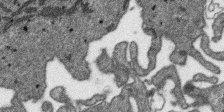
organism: Human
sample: Lung epithelial cells infected with SARS-CoV-2